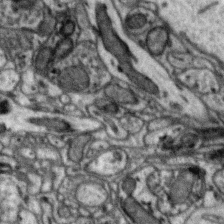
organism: Zebra finch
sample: Brain